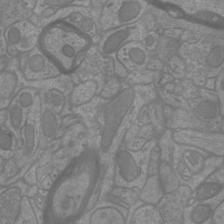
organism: Mouse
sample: Cortical neurons